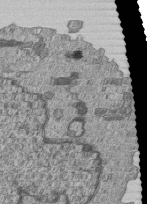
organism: Human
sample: MDA-MB-231 cells